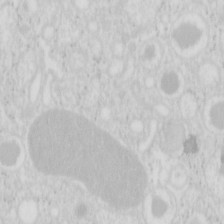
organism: Mouse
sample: Pancreas